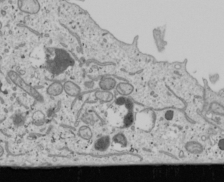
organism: Human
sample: Mitochondria in U2OS cells